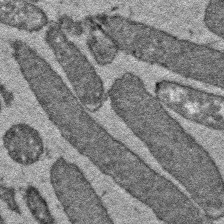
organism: E. coli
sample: E. Coli Bacteria